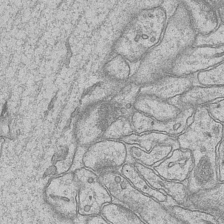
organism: Mouse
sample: CA1 Hippocampus